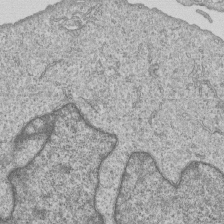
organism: Human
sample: MDA-MB-231 cells